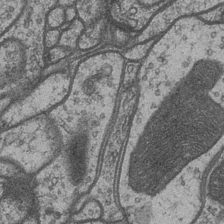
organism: Drosophila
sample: Optic medulla